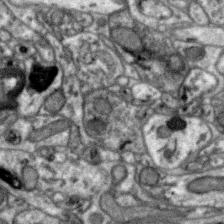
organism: Zebra finch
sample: Brain